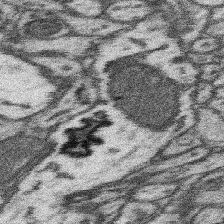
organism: Mouse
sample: Somatosensory cortex neuropil